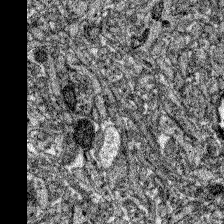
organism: Zebrafish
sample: Larval olfactory bulb